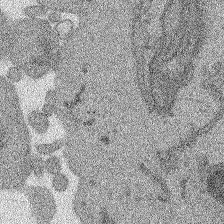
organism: Human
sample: HeLa cells